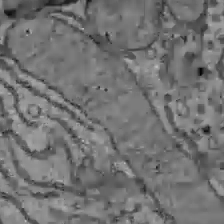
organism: C57BL Mouse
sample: Liver